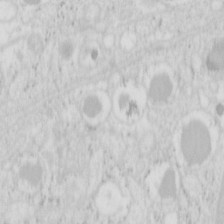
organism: Mouse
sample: Pancreas